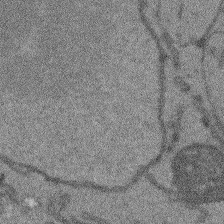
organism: Arabidopsis thaliana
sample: Root tip